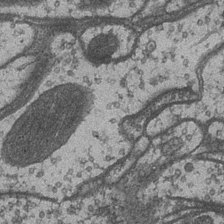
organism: Drosophila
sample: Optic medulla